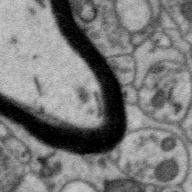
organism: Zebra finch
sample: Brain